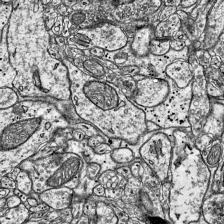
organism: Mouse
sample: Visual Cortex